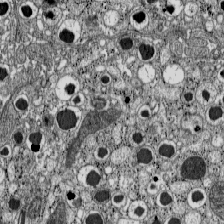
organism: C57BL Mouse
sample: Pancreatic islet